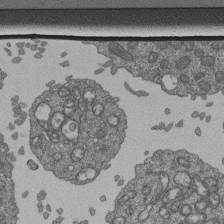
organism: Human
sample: Retinal organoid Rod and Cone cells